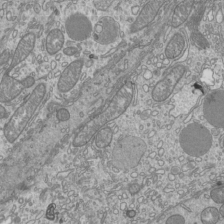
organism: Mouse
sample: Cilia; mouse epididymis